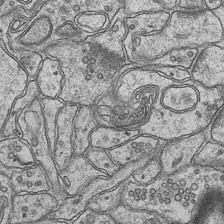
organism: Mouse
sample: CA1 Hippocampus